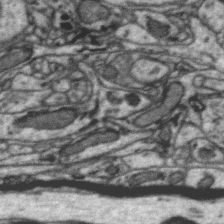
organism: Zebra finch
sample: Brain